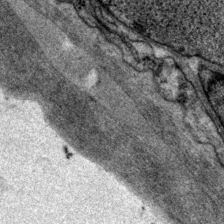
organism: P. pacificus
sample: Pharynx